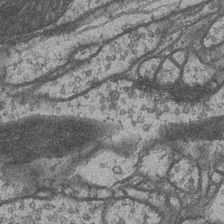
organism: Drosophila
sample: Optic medulla